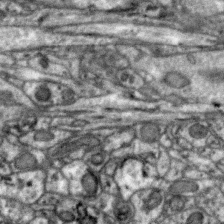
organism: Zebra finch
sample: Brain